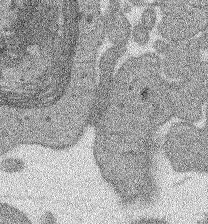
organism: Human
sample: HeLa cells